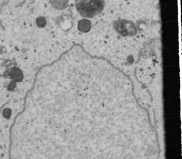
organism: Human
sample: Mitochondria in U2OS cells